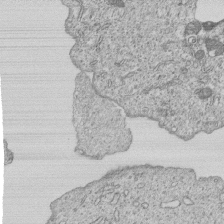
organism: Human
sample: MDA-MB-231 cells